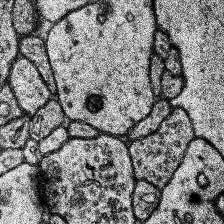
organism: Human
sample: Temporal Lobe